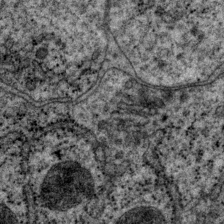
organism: P. pacificus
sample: Pharynx